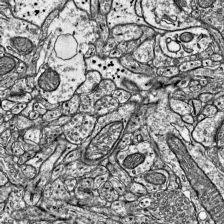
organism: Mouse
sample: Visual Cortex